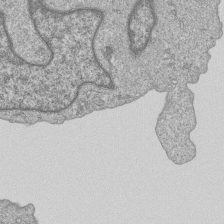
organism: Human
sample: MDA-MB-231 cells